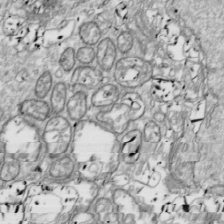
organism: Drosophila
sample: Cell division; meiosis; drosophila spermatocytes